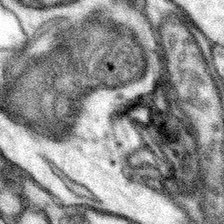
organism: Mouse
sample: Somatosensory cortex neuropil